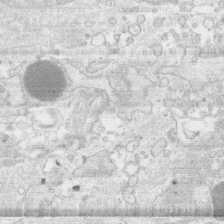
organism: Human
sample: CRL-1474